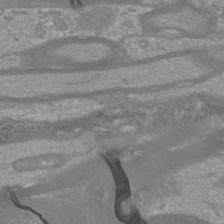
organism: Mouse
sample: Cortical neurons